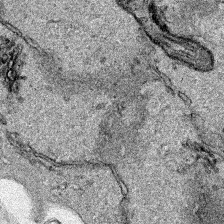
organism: Human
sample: Mitochondria in HCT116 cells